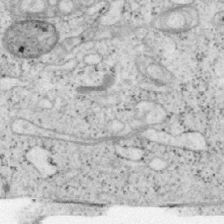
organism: Mouse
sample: OT-I killer T cells with ID8 ovarian cancer cells